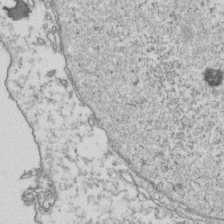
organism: Human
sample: Activated Jurkat CD4+ T cells